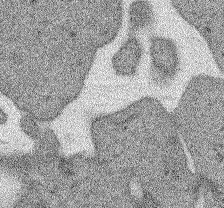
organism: Human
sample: HeLa cells